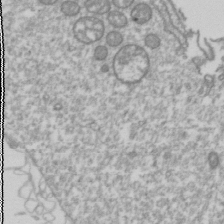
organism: Drosophila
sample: Cell division; meiosis; drosophila spermatocytes